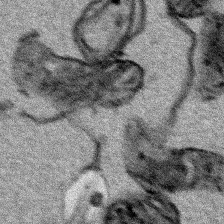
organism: Human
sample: Mitochondria in HCT116 cells